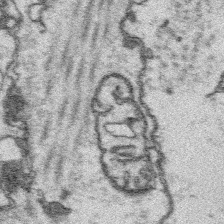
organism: Platynereis dumerilii